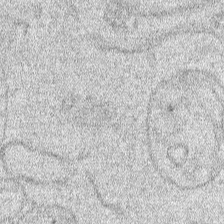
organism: Human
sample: Mitochondria in HCT116 cells